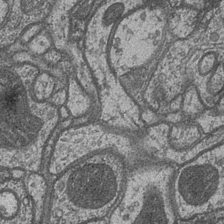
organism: Drosophila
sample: Optic medulla